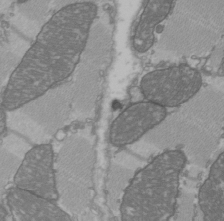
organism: C57BL Mouse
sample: Heart